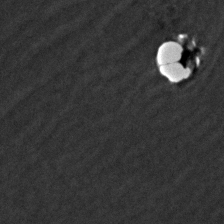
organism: Zebrafish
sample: Zebrafish embryo